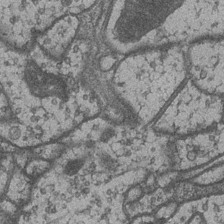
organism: Drosophila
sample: Optic medulla